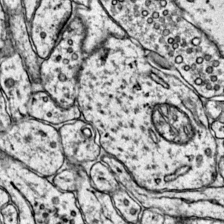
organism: Mouse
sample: Primary visual cortex